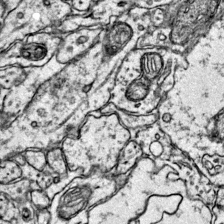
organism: Mouse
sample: Primary visual cortex